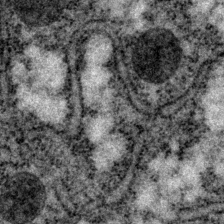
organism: P. pacificus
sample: Pharynx